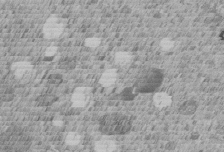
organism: C. elegans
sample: C. elegans embryo early stage